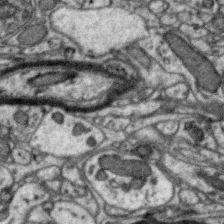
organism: Zebra finch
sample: Brain